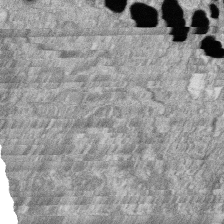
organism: Zebrafish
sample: Cilia; retinal pigment epithelium